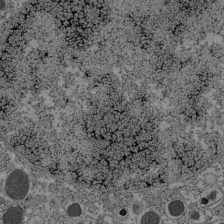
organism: C57BL Mouse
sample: Pancreatic islet